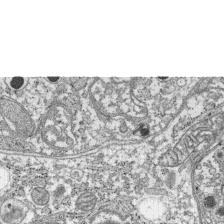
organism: C57BL Mouse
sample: Pancreatic islet